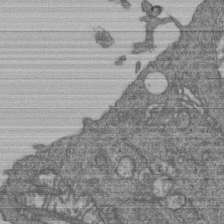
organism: Human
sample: Retinal organoid Rod and Cone cells